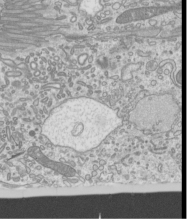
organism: Mouse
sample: Cilia; mouse epididymis